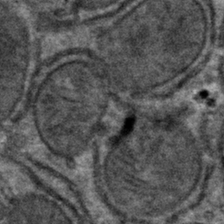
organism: Mouse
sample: Mouse hepatocytes